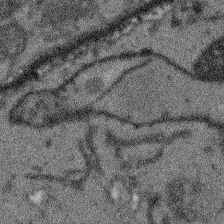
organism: Arabidopsis thaliana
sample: Root tip